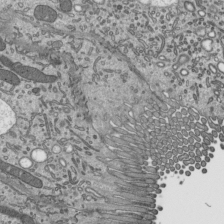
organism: Mouse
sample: Mouse epididymis efferent ductule cilia